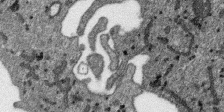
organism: Human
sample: Lung epithelial cells infected with SARS-CoV-2